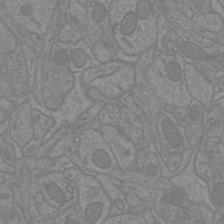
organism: Mouse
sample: Cortical neurons